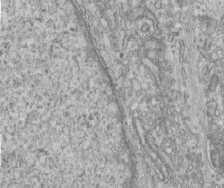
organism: Human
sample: Centriole in fibroblast cells